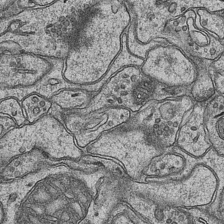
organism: Mouse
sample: CA1 Hippocampus